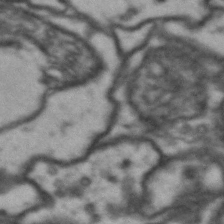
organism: Drosophila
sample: Brain